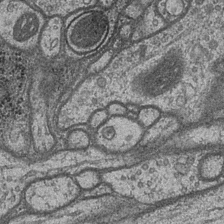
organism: Drosophila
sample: Optic medulla